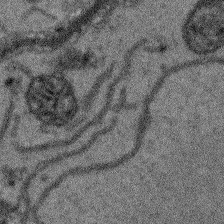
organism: Arabidopsis thaliana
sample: Root tip